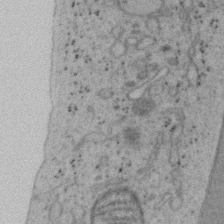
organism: Human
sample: HeLa cells